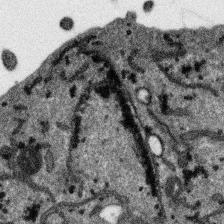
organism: Human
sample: Lung epithelial cells infected with SARS-CoV-2